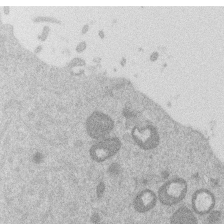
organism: Mouse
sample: Dividing mouse embryo 1 cell stage